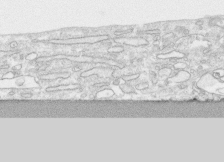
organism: Human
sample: CRL-1474